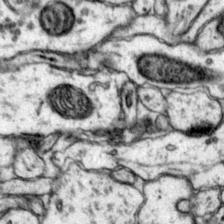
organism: Mouse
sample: Primary visual cortex